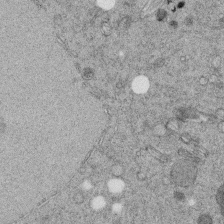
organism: C. elegans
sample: C. elegans embryo early stage